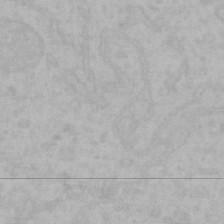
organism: Mouse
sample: Choroid plexus